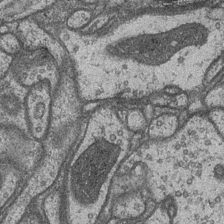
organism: Drosophila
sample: Optic medulla